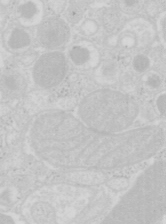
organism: Mouse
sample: Pancreas